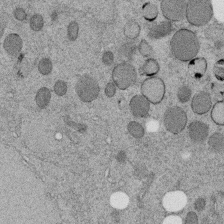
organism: C. elegans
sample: C. elegans embryo early stage